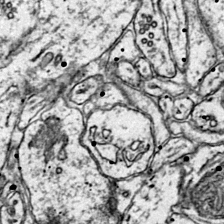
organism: Mouse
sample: Primary visual cortex